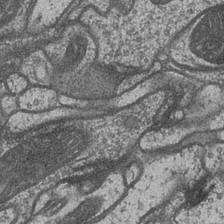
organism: Drosophila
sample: Optic medulla